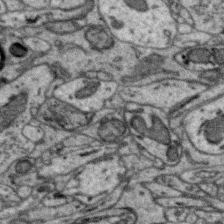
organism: Zebra finch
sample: Brain